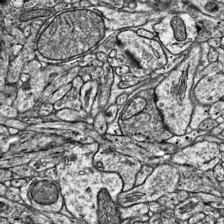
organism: Mouse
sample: Visual Cortex